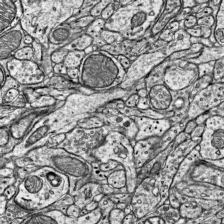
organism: Mouse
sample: Visual Cortex